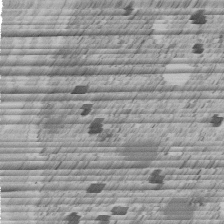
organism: C. elegans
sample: C. elegans embryo early stage